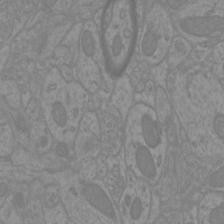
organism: Mouse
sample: Cortical neurons